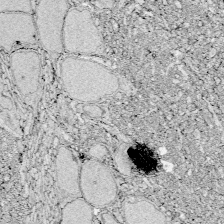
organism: Zebrafish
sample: Whole-Brain